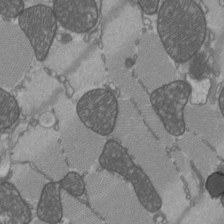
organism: C57BL Mouse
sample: Heart